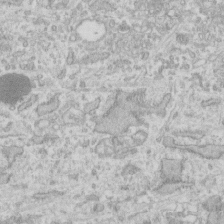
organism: Human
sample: Fibroblast cells